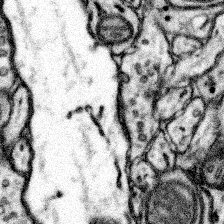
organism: Mouse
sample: Somatosensory cortex neuropil